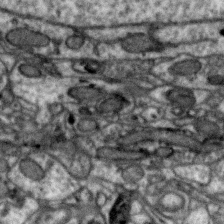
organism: Zebra finch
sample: Brain